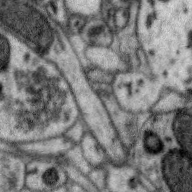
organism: Zebra finch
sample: Brain